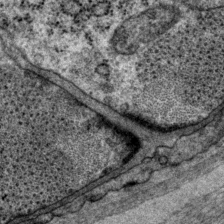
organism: P. pacificus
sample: Pharynx